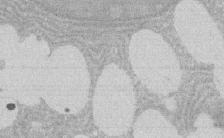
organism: Rat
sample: Salivary granule